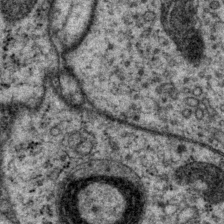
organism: P. pacificus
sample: Pharynx